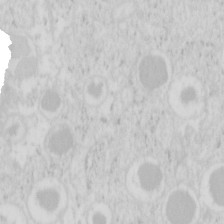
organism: Mouse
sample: Pancreas